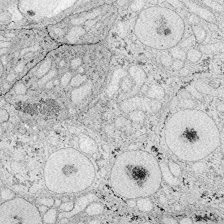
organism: Zebrafish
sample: Whole-Brain